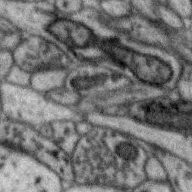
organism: Zebra finch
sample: Brain